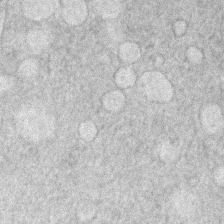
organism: Human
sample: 1205lu cells